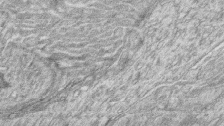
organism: Zebrafish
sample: synaptic ribbons in rod cells and cone cells